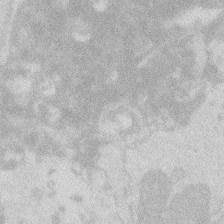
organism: Zebrafish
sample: Macrophage